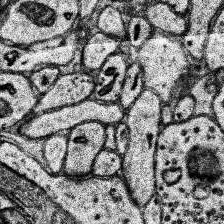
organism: Human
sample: Temporal Lobe